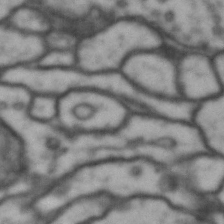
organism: Drosophila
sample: Brain